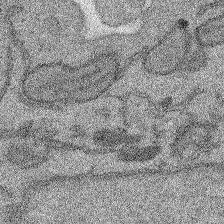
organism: Human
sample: HeLa cells